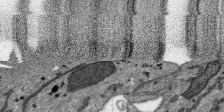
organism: Human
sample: Lung epithelial cells, uninfected (mock) control